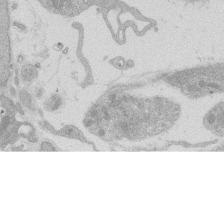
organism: Rat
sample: Salivary granule